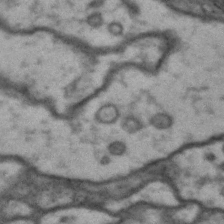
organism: Drosophila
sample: Brain